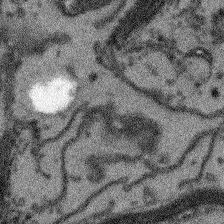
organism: Arabidopsis thaliana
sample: Root tip